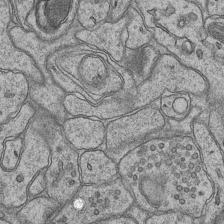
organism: Mouse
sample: CA1 Hippocampus